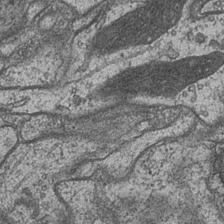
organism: Drosophila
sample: Optic medulla